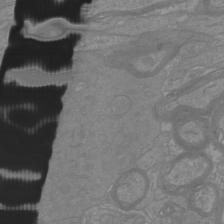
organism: Mouse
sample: Cortical neurons